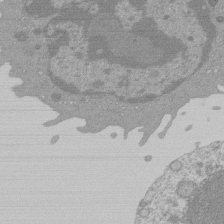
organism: Mouse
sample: Activated Pmel transgenic CD8+ T Cells